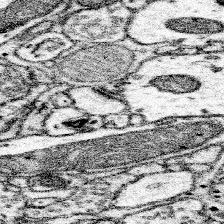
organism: Mouse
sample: Somatosensory cortex neuropil